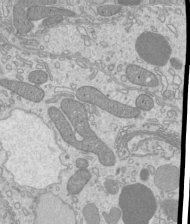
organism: Mouse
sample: Cilia; mouse epididymis